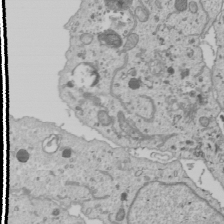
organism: Human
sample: Mitochondria in U2OS cells